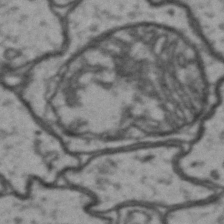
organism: Drosophila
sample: Brain